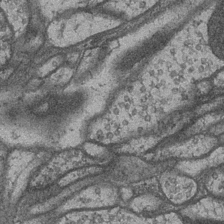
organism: Drosophila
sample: Optic medulla